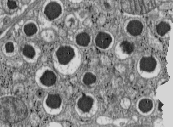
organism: C57BL Mouse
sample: Pancreatic islet